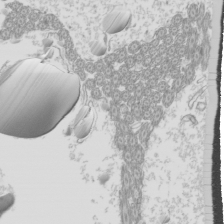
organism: Mouse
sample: Cilia; mouse epididymis